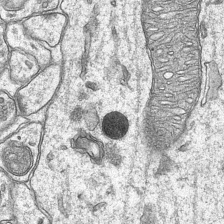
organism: Mouse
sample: CA1 Hippocampus